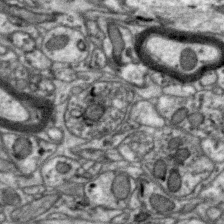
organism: Zebra finch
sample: Brain